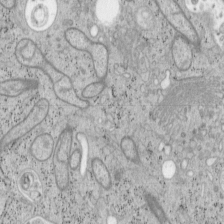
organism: Mouse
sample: OT-I killer T cells with ID8 ovarian cancer cells